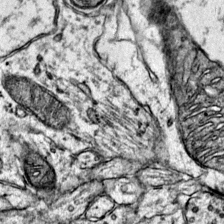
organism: Mouse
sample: Primary visual cortex